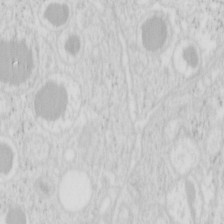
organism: Mouse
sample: Pancreas